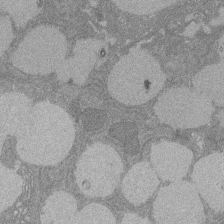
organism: Rat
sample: Salivary granule